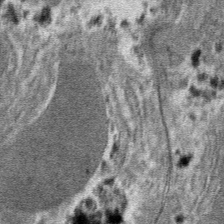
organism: Mouse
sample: Mouse hepatocytes